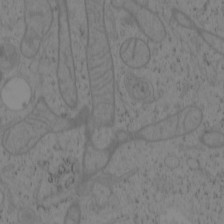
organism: Human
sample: HeLa cells